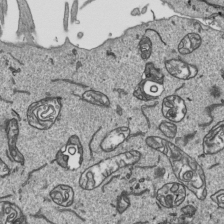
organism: Human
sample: Mitochondria in HCT116 cells